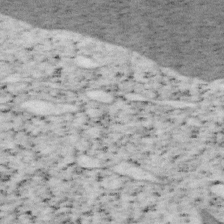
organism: Mouse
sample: OT-I killer T cells with ID8 ovarian cancer cells